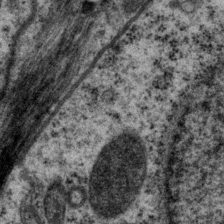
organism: P. pacificus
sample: Pharynx